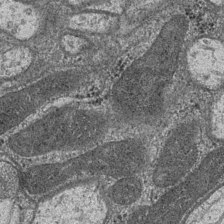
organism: Drosophila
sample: Optic medulla